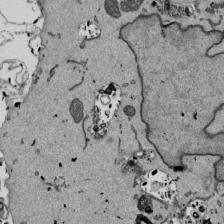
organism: Mouse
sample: ED-1 cell nuclei; centrioles